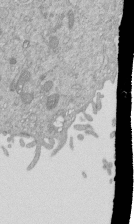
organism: Mouse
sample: ED-1 cell nuclei; centrioles